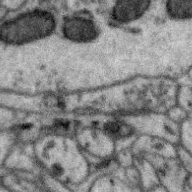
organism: Zebra finch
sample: Brain